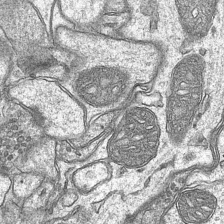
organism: Mouse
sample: CA1 Hippocampus